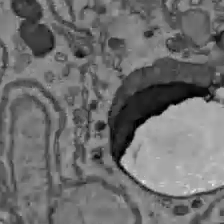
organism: C57BL Mouse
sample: Liver